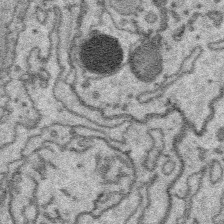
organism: Platynereis dumerilii